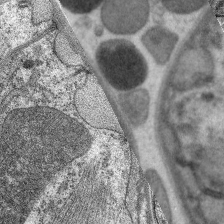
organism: C. elegans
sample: Pharynx